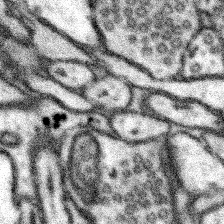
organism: Mouse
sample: Somatosensory cortex neuropil